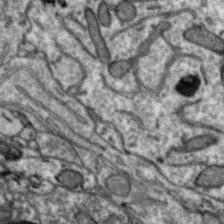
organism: Zebra finch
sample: Brain